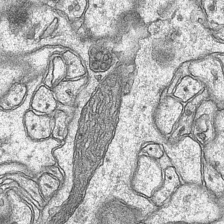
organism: Mouse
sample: CA1 Hippocampus